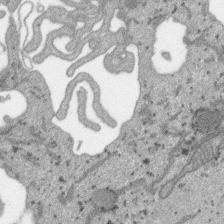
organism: Human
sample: Lung epithelial cells infected with SARS-CoV-2